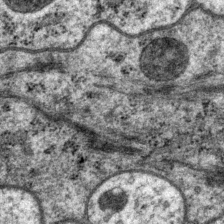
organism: P. pacificus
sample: Pharynx